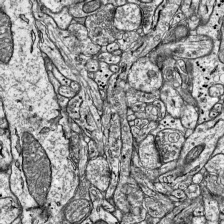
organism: Mouse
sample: Visual Cortex